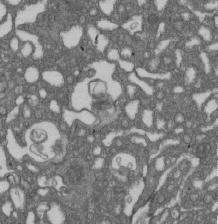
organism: Drosophila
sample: Nephrocyte